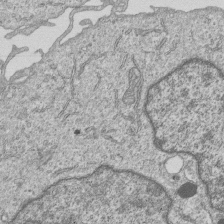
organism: Human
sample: MDA-MB-231 cells